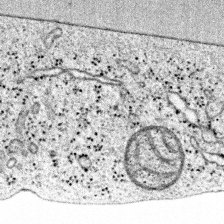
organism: Human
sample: HeLa cells